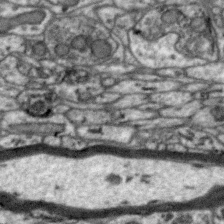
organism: Zebra finch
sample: Brain